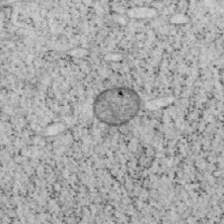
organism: Mouse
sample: OT-I killer T cells with ID8 ovarian cancer cells